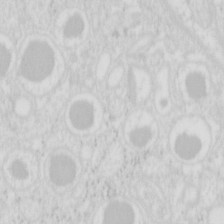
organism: Mouse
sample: Pancreas